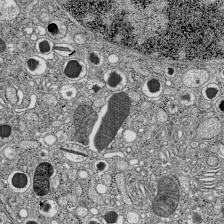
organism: C57BL Mouse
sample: Pancreatic islet